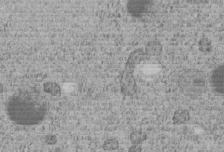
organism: C. elegans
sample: C. elegans embryo early stage